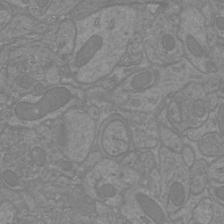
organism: Mouse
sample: Cortical neurons